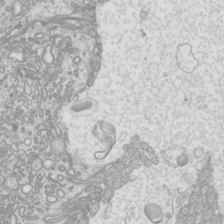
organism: Mouse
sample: Cilia; mouse epididymis